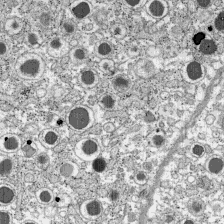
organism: C57BL Mouse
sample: Pancreatic islet